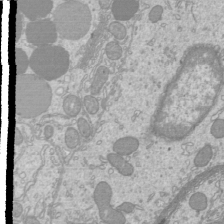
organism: Mouse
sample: Cilia; mouse epididymis